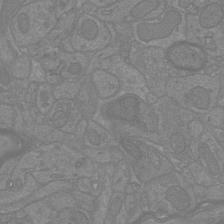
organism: Mouse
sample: Cortical neurons